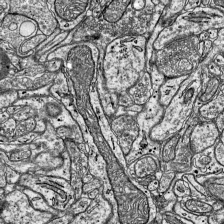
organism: Mouse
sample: Visual Cortex